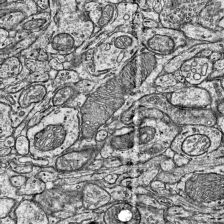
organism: Mouse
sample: Visual Cortex